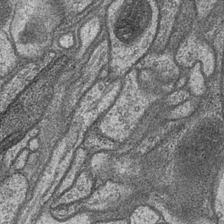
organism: Drosophila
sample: Optic medulla